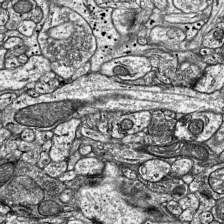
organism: Mouse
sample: Visual Cortex